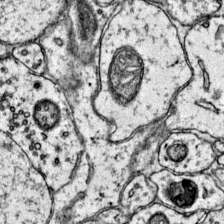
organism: Mouse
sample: Primary visual cortex